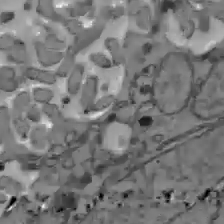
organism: C57BL Mouse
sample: Liver